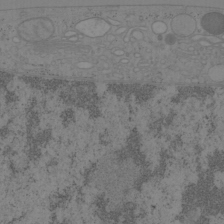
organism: Human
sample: HeLa cells